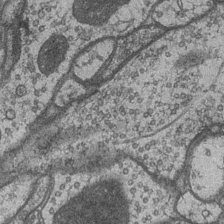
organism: Drosophila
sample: Optic medulla